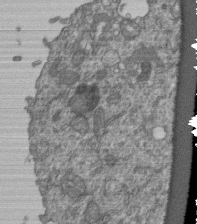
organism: Human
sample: Retinal organoid Rod and Cone cells